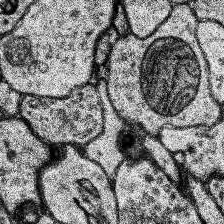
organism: Human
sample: Temporal Lobe